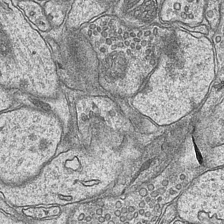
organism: Mouse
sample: CA1 Hippocampus